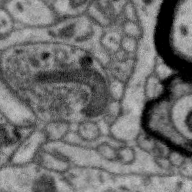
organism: Zebra finch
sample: Brain